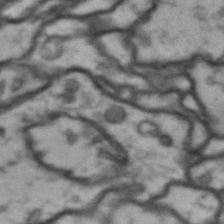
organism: Drosophila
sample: Brain